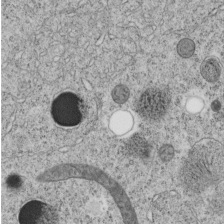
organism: C. elegans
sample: C. elegans embryo early stage